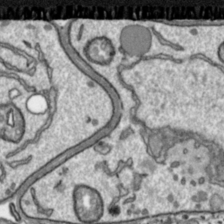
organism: Toxoplasma gondii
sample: Parasites in a vacuole inside a host cell